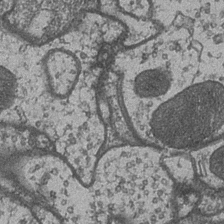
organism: Drosophila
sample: Optic medulla